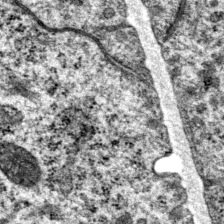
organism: P. pacificus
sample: Pharynx